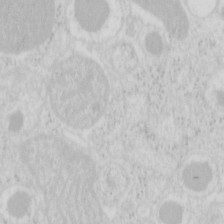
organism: Mouse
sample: Pancreas